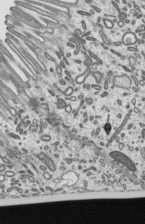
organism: Mouse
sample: Mouse epididymis efferent ductule cilia